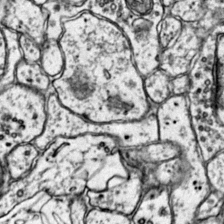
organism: Mouse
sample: Primary visual cortex